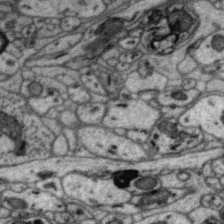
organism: Zebra finch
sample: Brain